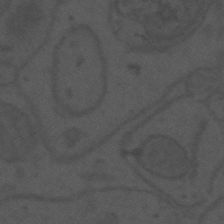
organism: Mouse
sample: Suprachiasmatic nucleus